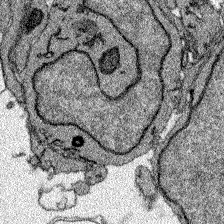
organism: Zebrafish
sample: Larval olfactory bulb